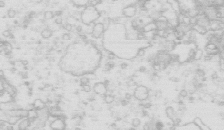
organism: Mouse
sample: Multiciliated cells